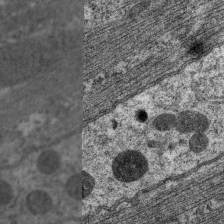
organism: C. elegans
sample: Pharynx